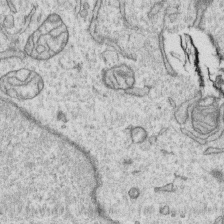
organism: Human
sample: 1205lu cells